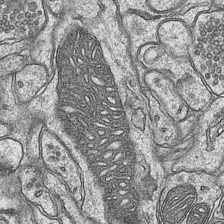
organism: Mouse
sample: CA1 Hippocampus